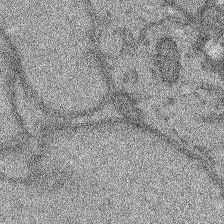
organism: Human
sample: HeLa cells